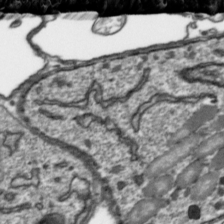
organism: Toxoplasma gondii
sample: Parasites in a vacuole inside a host cell